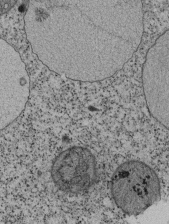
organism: Tetrahymena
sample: Cilia in tetrahymena